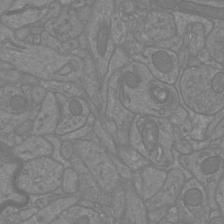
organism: Mouse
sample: Cortical neurons